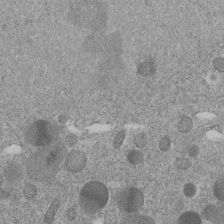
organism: C. elegans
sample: C. elegans embryo early stage